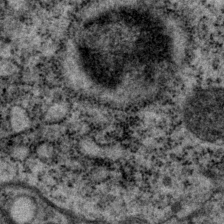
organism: P. pacificus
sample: Pharynx